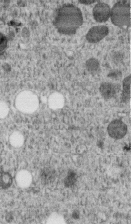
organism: C. elegans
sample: C. elegans embryo early stage